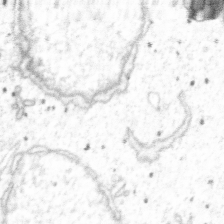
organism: Human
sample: HeLa cells